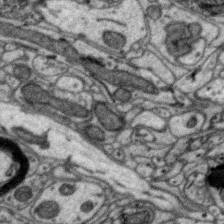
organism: Zebra finch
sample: Brain